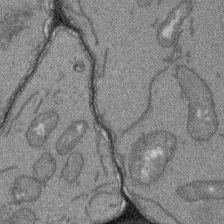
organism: Arabidopsis thaliana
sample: Root tip